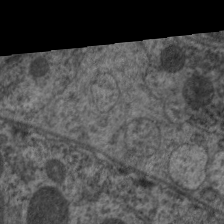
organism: C. elegans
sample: Pharynx